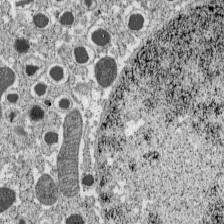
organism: C57BL Mouse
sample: Pancreatic islet